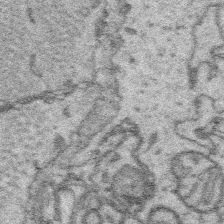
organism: Platynereis dumerilii